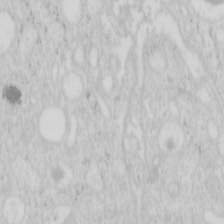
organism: Mouse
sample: Pancreas